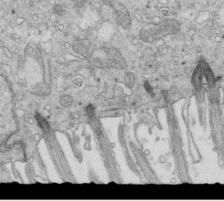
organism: Mouse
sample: Multiciliated cells